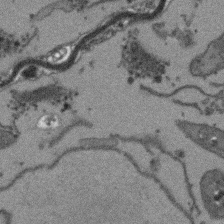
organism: Arabidopsis thaliana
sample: Root tip